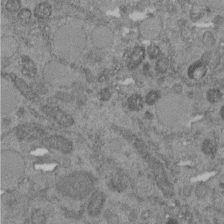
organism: C. elegans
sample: C. elegans embryo early stage